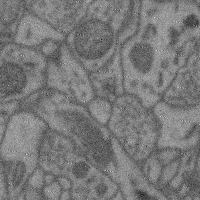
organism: Mouse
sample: Cerebral cortex